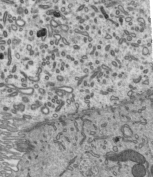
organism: Mouse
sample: Mouse epididymis efferent ductule cilia